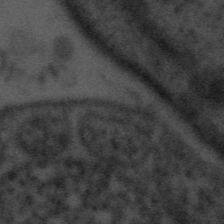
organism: Tuwongella immobilis